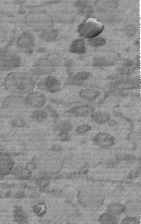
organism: C. elegans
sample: C. elegans embryo early stage